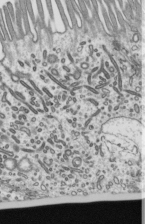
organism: Mouse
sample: Mouse epididymis efferent ductule cilia